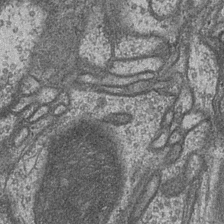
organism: Drosophila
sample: Optic medulla